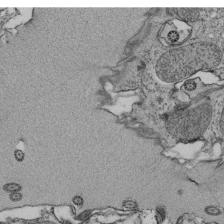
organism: Tetrahymena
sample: Cilia in tetrahymena